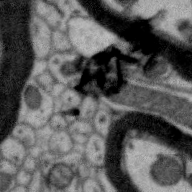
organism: Zebra finch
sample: Brain